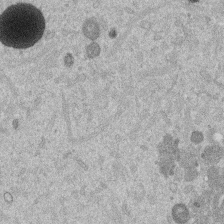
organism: Mouse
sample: Dividing mouse embryo 1 cell stage